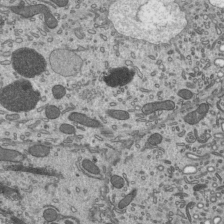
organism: Mouse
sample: Mouse epididymis efferent ductule cilia